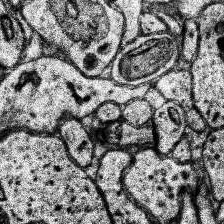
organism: Human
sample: Temporal Lobe